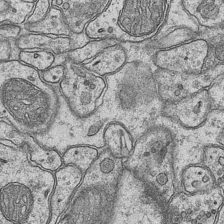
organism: Mouse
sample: CA1 Hippocampus